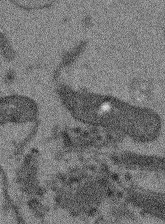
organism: Arabidopsis thaliana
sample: Root tip